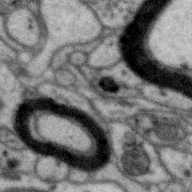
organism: Zebra finch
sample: Brain